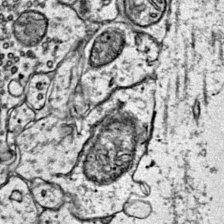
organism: Mouse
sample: Primary visual cortex